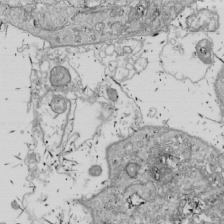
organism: Drosophila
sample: Cell division; meiosis; drosophila spermatocytes